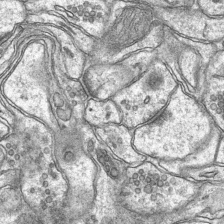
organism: Mouse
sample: CA1 Hippocampus